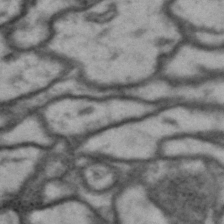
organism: Drosophila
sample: Brain